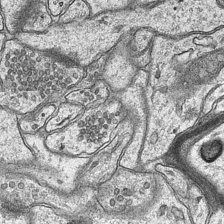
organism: Mouse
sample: CA1 Hippocampus